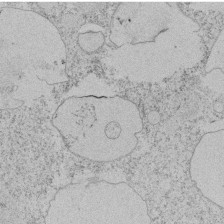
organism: Tetrahymena